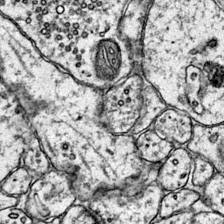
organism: Mouse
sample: Primary visual cortex